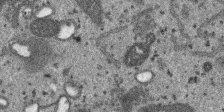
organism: Human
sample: Lung epithelial cells infected with SARS-CoV-2